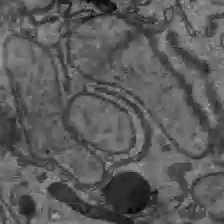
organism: C57BL Mouse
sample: Liver